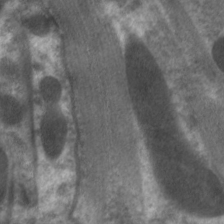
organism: C. elegans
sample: Pharynx